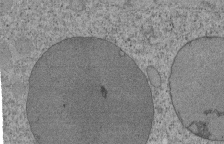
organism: Tetrahymena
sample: Cilia in tetrahymena